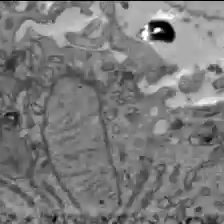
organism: C57BL Mouse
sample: Liver